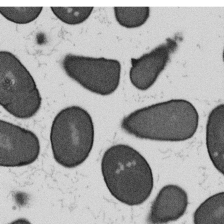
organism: B. subtilis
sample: Bacterial spore